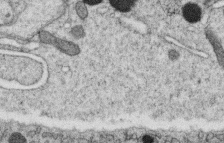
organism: C. elegans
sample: C. elegans oocyte; sperm cells